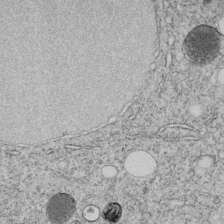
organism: C. elegans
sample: C. elegans embryo early stage